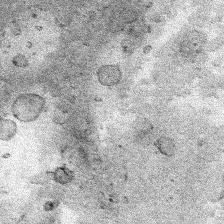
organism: Human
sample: Mitochondria in HCT116 cells